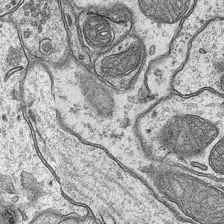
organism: Mouse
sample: CA1 Hippocampus